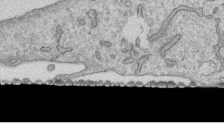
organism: Human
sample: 1205lu cells